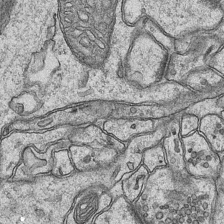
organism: Mouse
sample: CA1 Hippocampus